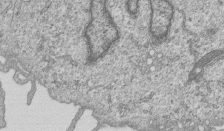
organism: Human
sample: MDA-MB-231 cells